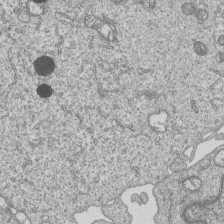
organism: Human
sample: MDA-MB-231 cells